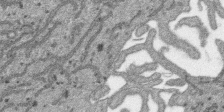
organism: Human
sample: Lung epithelial cells infected with SARS-CoV-2